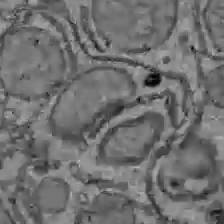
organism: C57BL Mouse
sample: Liver